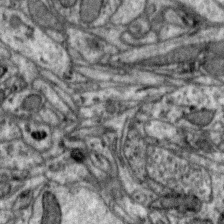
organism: Zebra finch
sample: Brain